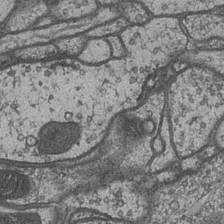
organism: Drosophila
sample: Optic medulla